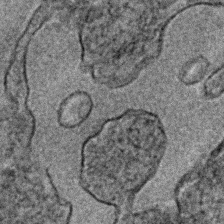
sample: Trachea